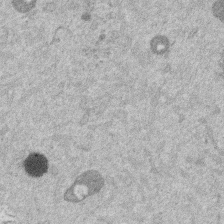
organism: Mouse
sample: Dividing mouse embryo 1 cell stage